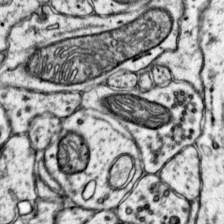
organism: Mouse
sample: Primary visual cortex